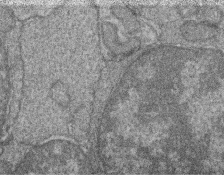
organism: Zebrafish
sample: Cilia; retinal pigment epithelium